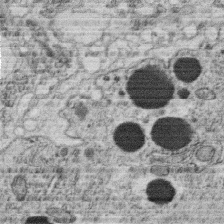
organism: C. elegans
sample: C. elegans oocyte; sperm cells